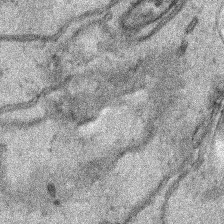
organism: Human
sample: Mitochondria in HCT116 cells